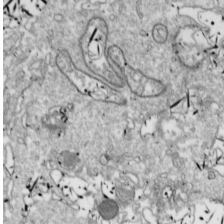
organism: Drosophila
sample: Cell division; meiosis; drosophila spermatocytes